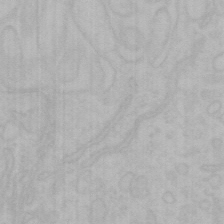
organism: Mouse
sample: Choroid plexus